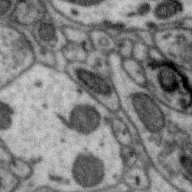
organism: Zebra finch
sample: Brain